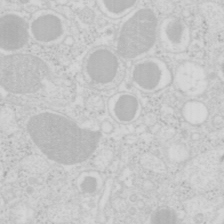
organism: Mouse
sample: Pancreas